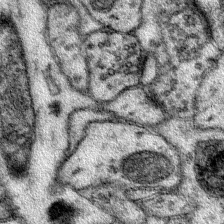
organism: Mouse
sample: Primary visual cortex